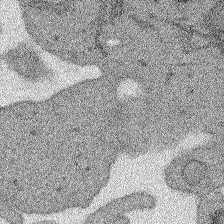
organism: Human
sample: HeLa cells